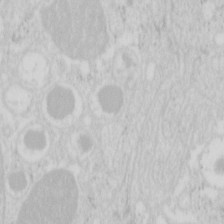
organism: Mouse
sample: Pancreas